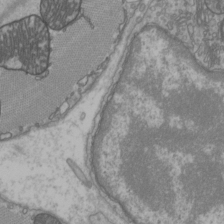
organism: C57BL Mouse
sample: Heart